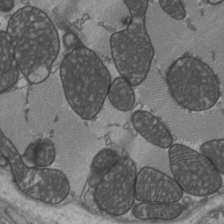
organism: C57BL Mouse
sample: Heart